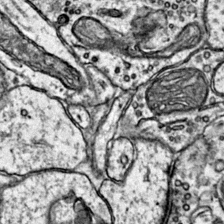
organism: Mouse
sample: Primary visual cortex